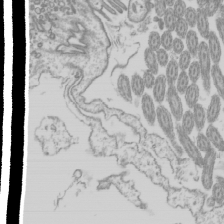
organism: Mouse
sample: Cilia; mouse epididymis